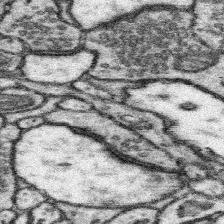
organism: Mouse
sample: Somatosensory cortex neuropil